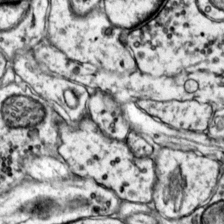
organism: Mouse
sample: Primary visual cortex